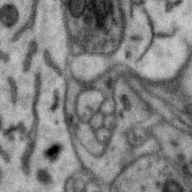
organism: Zebra finch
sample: Brain